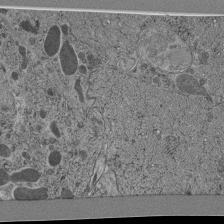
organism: C. elegans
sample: C. elegans pharynx